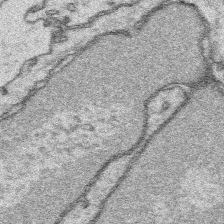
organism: Platynereis dumerilii